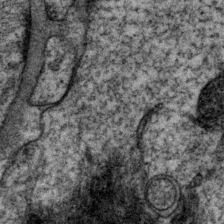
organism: P. pacificus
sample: Pharynx